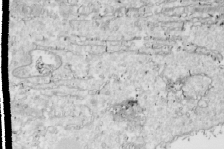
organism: Drosophila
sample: Cell division; meiosis; drosophila spermatocytes